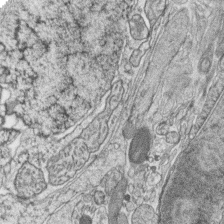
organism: Zebrafish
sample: synaptic ribbons in rod cells and cone cells